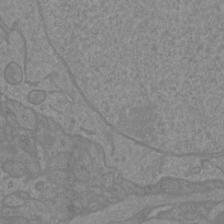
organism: Mouse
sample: Cortical neurons